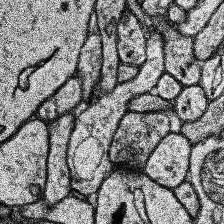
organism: Human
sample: Temporal Lobe